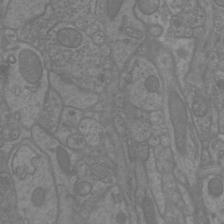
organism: Mouse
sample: Cortical neurons